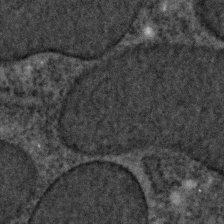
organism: C. elegans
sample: C. elegans embryo